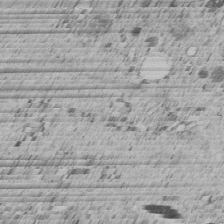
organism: C. elegans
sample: C. elegans embryo early stage